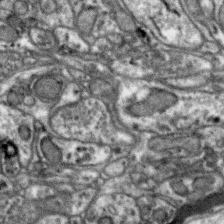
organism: Zebra finch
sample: Brain